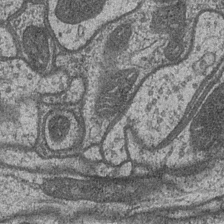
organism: Drosophila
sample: Optic medulla